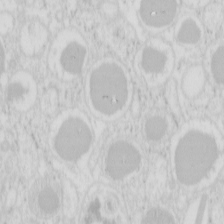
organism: Mouse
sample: Pancreas